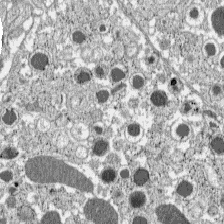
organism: C57BL Mouse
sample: Pancreatic islet